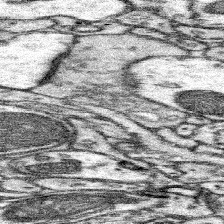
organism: Mouse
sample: Somatosensory cortex neuropil